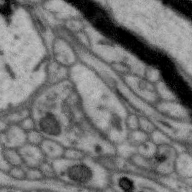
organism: Zebra finch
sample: Brain